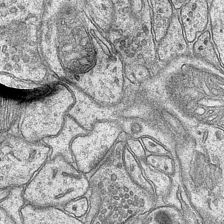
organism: Mouse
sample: CA1 Hippocampus